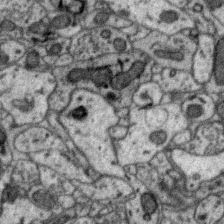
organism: Zebra finch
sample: Brain